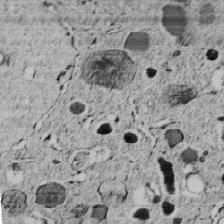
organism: C. elegans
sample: C. elegans embryo early stage